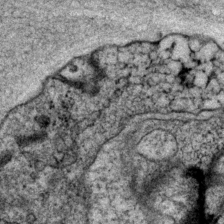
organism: P. pacificus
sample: Pharynx